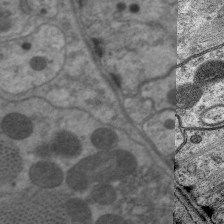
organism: C. elegans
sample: Pharynx